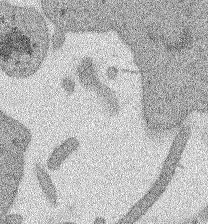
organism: Human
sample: HeLa cells